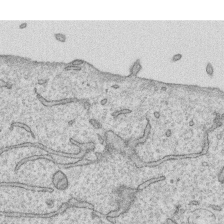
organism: Human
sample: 1205lu cells